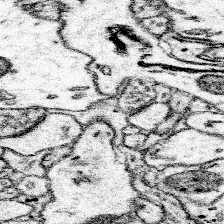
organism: Mouse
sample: Somatosensory cortex neuropil